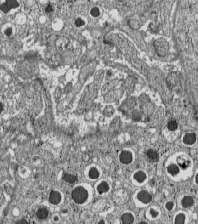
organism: C57BL Mouse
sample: Pancreatic islet